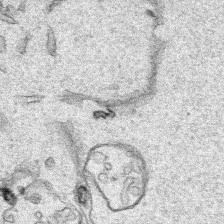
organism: Human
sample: Mitochondria in HCT116 cells